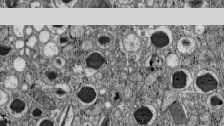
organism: C57BL Mouse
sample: Pancreatic islet